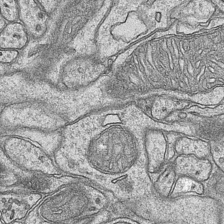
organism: Mouse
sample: CA1 Hippocampus